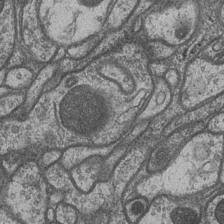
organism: Drosophila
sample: Optic medulla